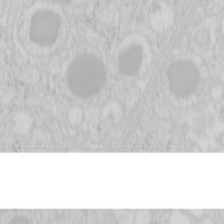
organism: Mouse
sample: Pancreas